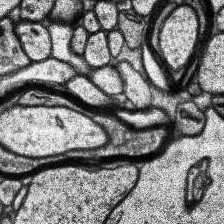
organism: Human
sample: Temporal Lobe